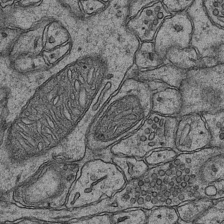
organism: Mouse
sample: CA1 Hippocampus